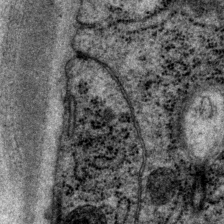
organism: P. pacificus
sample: Pharynx